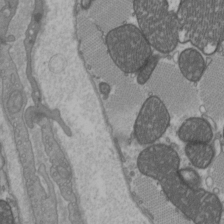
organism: C57BL Mouse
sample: Heart